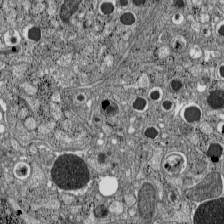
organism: C57BL Mouse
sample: Pancreatic islet